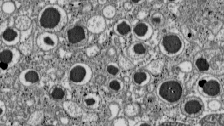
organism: C57BL Mouse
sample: Pancreatic islet